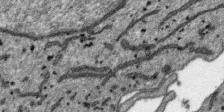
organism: Human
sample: Lung epithelial cells, uninfected (mock) control